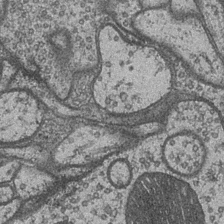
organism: Drosophila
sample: Optic medulla